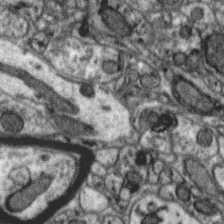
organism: Zebra finch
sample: Brain